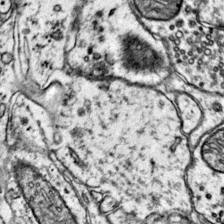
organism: Mouse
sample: Primary visual cortex